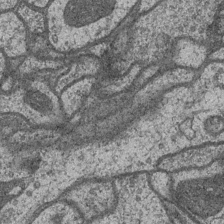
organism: Drosophila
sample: Optic medulla